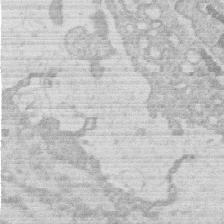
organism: Human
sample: Macrophage cells